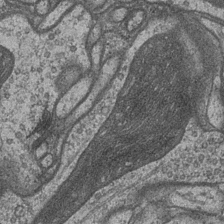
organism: Drosophila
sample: Optic medulla